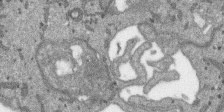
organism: Human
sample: Lung epithelial cells infected with SARS-CoV-2